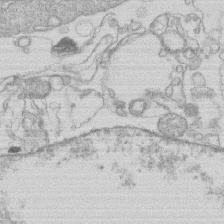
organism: Human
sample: Macrophage cells